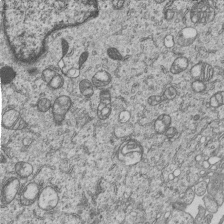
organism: Human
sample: MDA-MB-231 cells